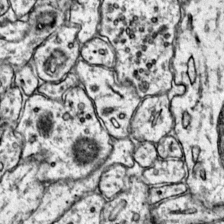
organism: Mouse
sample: Primary visual cortex